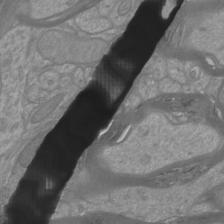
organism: Mouse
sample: Cortical neurons